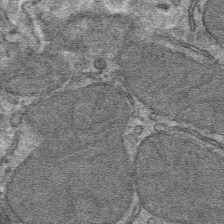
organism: Mouse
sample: Mouse hepatocytes